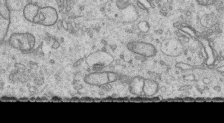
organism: Human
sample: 1205lu cells